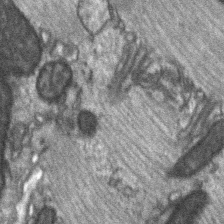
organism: C57BL Mouse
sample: Soleus